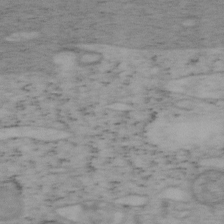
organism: Mouse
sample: OT-I killer T cells with ID8 ovarian cancer cells